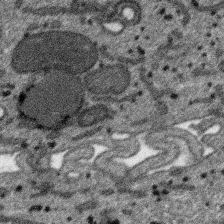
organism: Human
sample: Lung epithelial cells infected with SARS-CoV-2